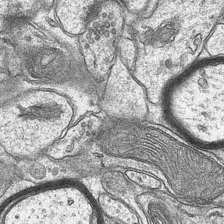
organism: Mouse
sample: CA1 Hippocampus